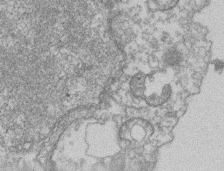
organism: Mouse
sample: T cell stromal cell synapse